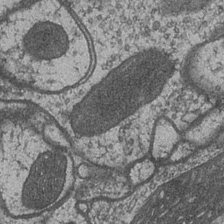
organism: Drosophila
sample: Optic medulla